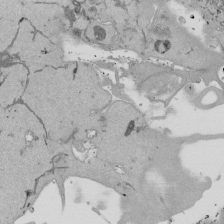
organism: Mouse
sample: ED-1 cell nuclei; centrioles